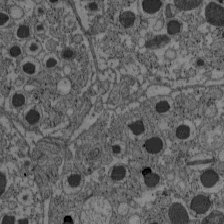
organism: C57BL Mouse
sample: Pancreatic islet